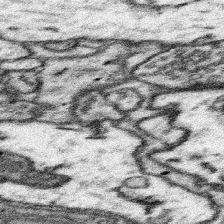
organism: Mouse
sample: Somatosensory cortex neuropil